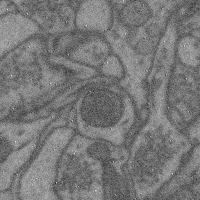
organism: Mouse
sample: Cerebral cortex